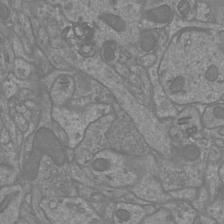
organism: Mouse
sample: Cortical neurons